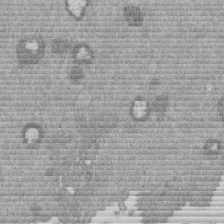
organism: Mouse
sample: Dividing mouse embryo 1 cell stage